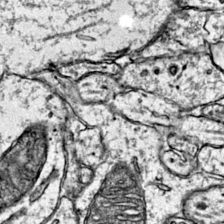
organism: Mouse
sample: Primary visual cortex